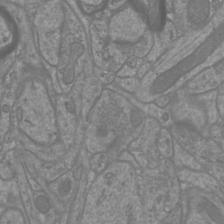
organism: Mouse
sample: Cortical neurons